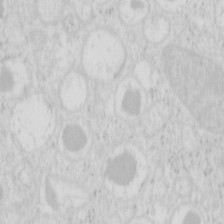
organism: Mouse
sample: Pancreas